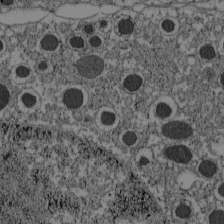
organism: C57BL Mouse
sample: Pancreatic islet